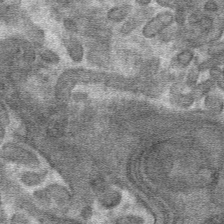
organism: Mouse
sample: Mouse hepatocytes